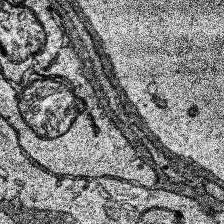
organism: Human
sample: Temporal Lobe